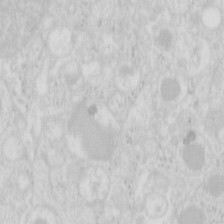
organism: Mouse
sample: Pancreas